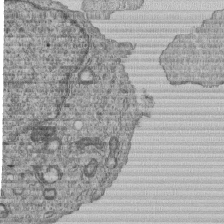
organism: Human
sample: MDA-MB-231 cells